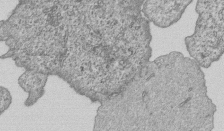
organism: Human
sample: MDA-MB-231 cells